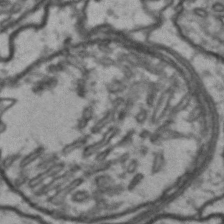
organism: Drosophila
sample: Brain